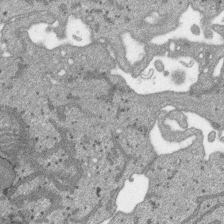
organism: Human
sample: Lung epithelial cells infected with SARS-CoV-2